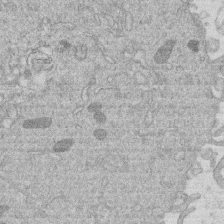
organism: Human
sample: Macrophage cells